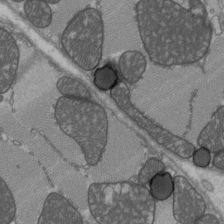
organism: C57BL Mouse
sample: Heart